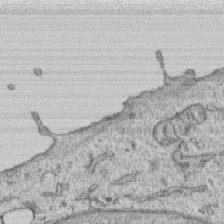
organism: Human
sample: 1205lu cells